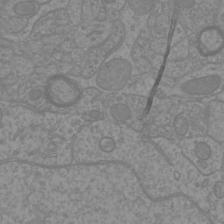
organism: Mouse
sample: Cortical neurons